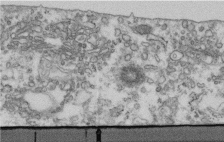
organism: Human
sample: Centriole in fibroblast cells